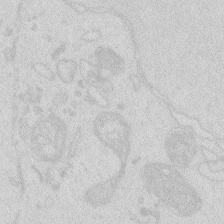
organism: Zebrafish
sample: Macrophage